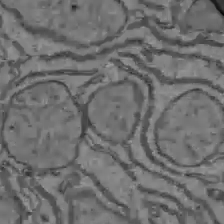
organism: C57BL Mouse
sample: Liver